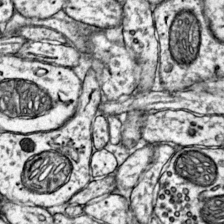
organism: Mouse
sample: Primary visual cortex